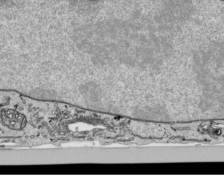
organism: Human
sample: Mitochondria in HCT116 cells